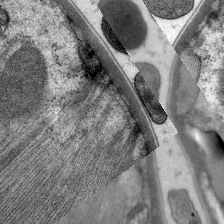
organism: C. elegans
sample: Pharynx